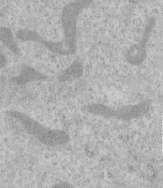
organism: Human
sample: Centriole in RPE cells